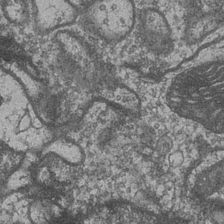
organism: Drosophila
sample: Optic medulla